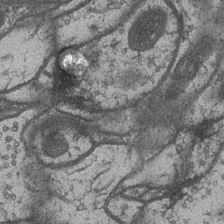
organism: Drosophila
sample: Optic medulla